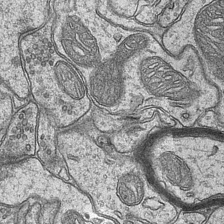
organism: Mouse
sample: CA1 Hippocampus